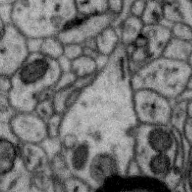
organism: Zebra finch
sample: Brain